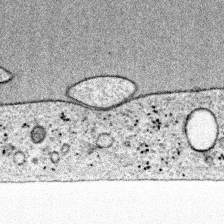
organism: Human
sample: HeLa cells